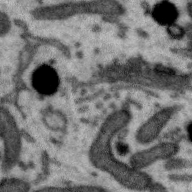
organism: Zebra finch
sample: Brain